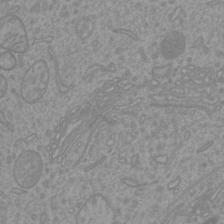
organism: Mouse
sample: Cortical neurons